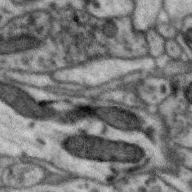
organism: Zebra finch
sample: Brain